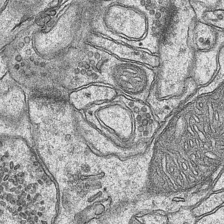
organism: Mouse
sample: CA1 Hippocampus